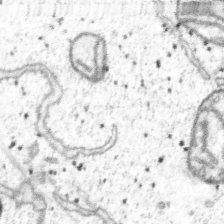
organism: Human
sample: HeLa cells